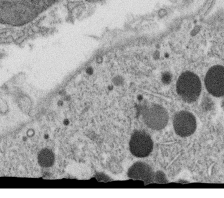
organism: C. elegans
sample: C. elegans oocyte; sperm cells